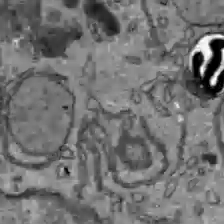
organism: C57BL Mouse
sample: Liver